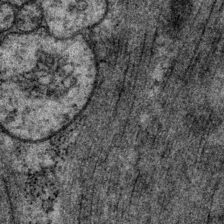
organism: P. pacificus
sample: Pharynx